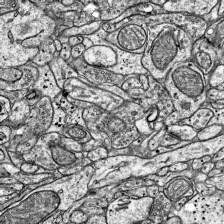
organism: Mouse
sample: Visual Cortex